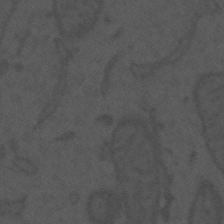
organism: Mouse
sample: Suprachiasmatic nucleus